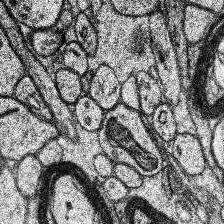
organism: Human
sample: Temporal Lobe